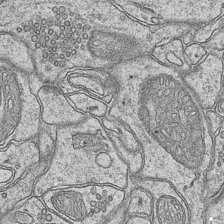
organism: Mouse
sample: CA1 Hippocampus